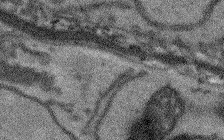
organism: Arabidopsis thaliana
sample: Root tip